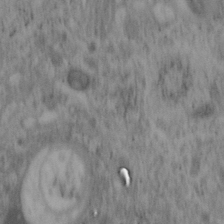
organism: Mouse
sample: OT-I killer T cells with ID8 ovarian cancer cells